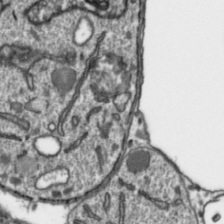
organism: Toxoplasma gondii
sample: Parasites in a vacuole inside a host cell